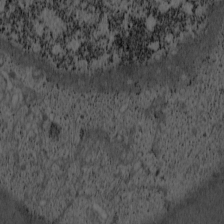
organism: African green monkey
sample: COS-7 cells